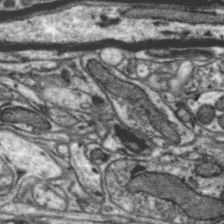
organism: Zebra finch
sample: Brain